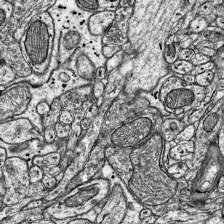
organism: Mouse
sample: Visual Cortex